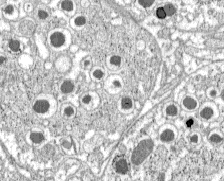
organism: C57BL Mouse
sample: Pancreatic islet